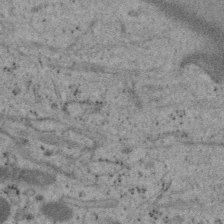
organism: Human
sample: HeLa cells